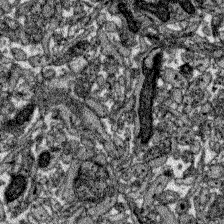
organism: Zebrafish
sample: Larval olfactory bulb